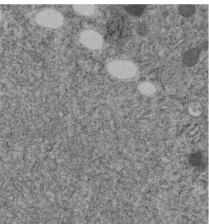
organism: C. elegans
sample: C. elegans embryo early stage